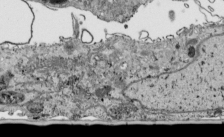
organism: Human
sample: Mitochondria in HCT116 cells